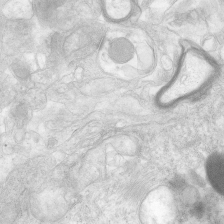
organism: Human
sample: Neocortex